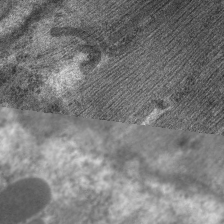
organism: C. elegans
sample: Pharynx